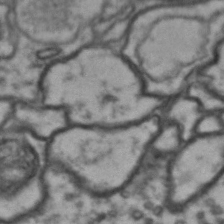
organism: Drosophila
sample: Brain